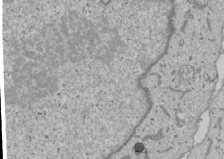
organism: Human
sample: Mitochondria in U2OS cells